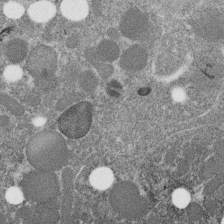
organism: C. elegans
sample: C. elegans embryo early stage